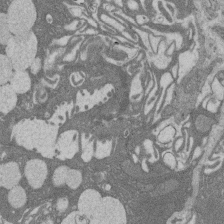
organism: Rat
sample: Salivary granule